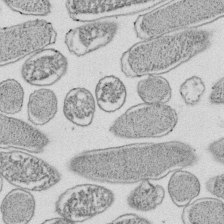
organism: E. coli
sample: Bacterial nucleoid